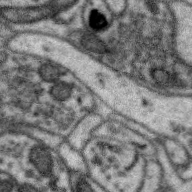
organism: Zebra finch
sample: Brain